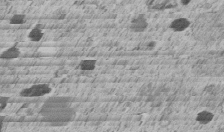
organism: C. elegans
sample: C. elegans embryo early stage